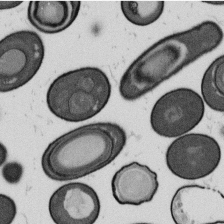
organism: B. subtilis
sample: Bacterial spore